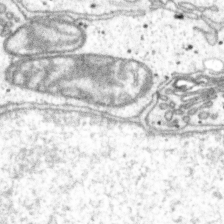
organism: Human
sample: HeLa cells